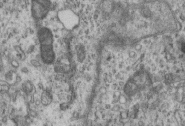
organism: Mouse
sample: Centriole in ependymal cells